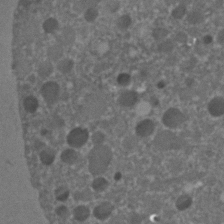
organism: C. elegans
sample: C. elegans embryo